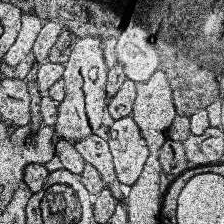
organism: Human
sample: Temporal Lobe